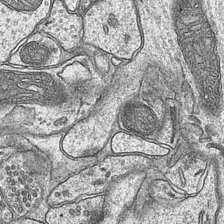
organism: Mouse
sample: CA1 Hippocampus